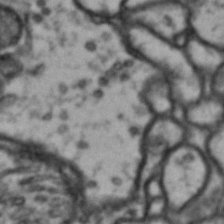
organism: Drosophila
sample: Brain